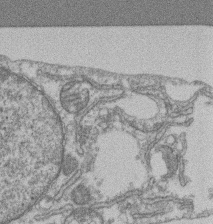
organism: Mouse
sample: T cell stromal cell synapse